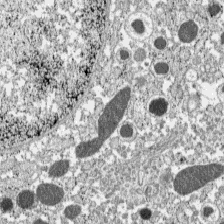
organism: C57BL Mouse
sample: Pancreatic islet